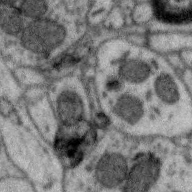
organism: Zebra finch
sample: Brain